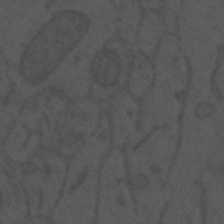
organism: Mouse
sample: Suprachiasmatic nucleus